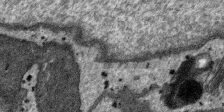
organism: Human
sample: Lung epithelial cells, uninfected (mock) control